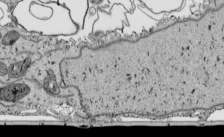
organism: Human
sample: Mitochondria in HCT116 cells